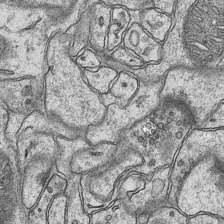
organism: Mouse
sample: CA1 Hippocampus